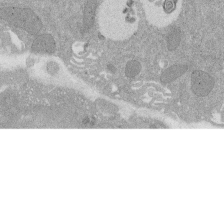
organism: Rat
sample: Salivary granule